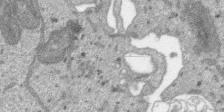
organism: Human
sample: Lung epithelial cells infected with SARS-CoV-2